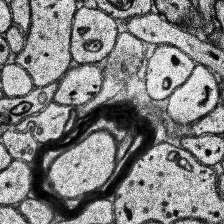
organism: Human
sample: Temporal Lobe